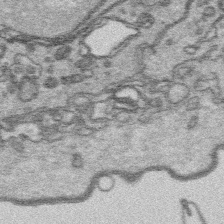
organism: Platynereis dumerilii